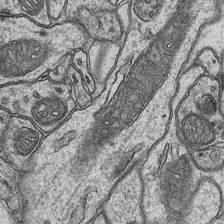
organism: Mouse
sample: CA1 Hippocampus